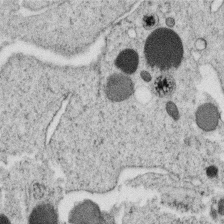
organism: C. elegans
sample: C. elegans oocyte; sperm cells